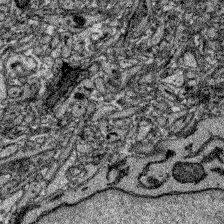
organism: Zebrafish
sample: Larval olfactory bulb